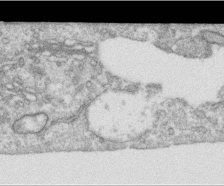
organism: Human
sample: Centriole in RPE cells